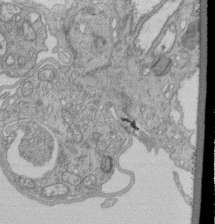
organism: Human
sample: Retinal organoid Rod and Cone cells